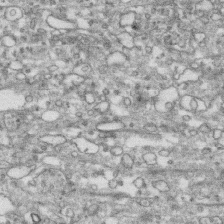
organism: Human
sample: CRL-1474